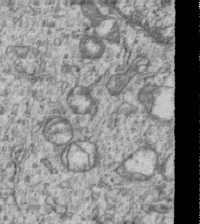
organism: Human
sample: MDA-MB-231 cells